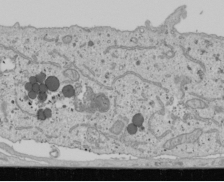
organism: Human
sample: Mitochondria in U2OS cells